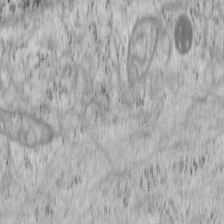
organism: Human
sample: HeLa cells